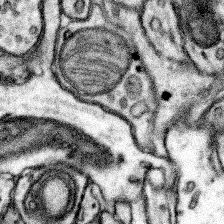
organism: Mouse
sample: Somatosensory cortex neuropil